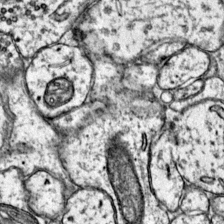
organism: Mouse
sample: Primary visual cortex